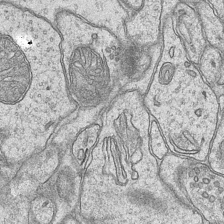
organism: Mouse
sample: CA1 Hippocampus